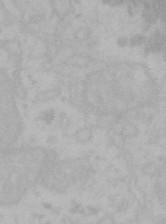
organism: Mouse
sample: Choroid plexus